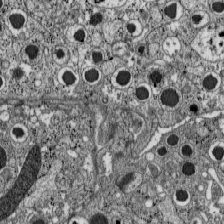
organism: C57BL Mouse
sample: Pancreatic islet